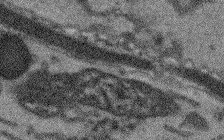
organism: Arabidopsis thaliana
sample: Root tip